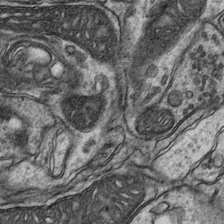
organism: Mouse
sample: CA1 Hippocampus